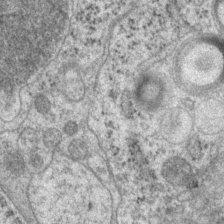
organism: P. pacificus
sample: Pharynx